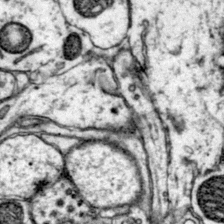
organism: Mouse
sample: Primary visual cortex